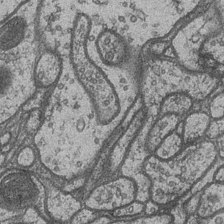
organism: Drosophila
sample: Optic medulla